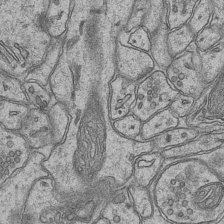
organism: Mouse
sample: CA1 Hippocampus